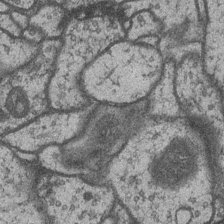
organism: Drosophila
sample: Optic medulla